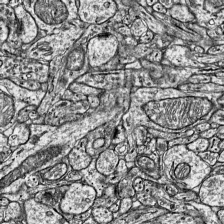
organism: Mouse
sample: Visual Cortex